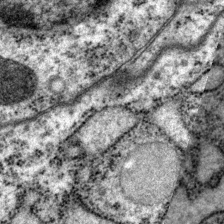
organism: P. pacificus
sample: Pharynx